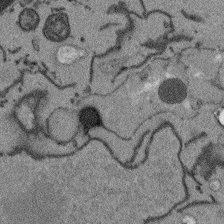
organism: Arabidopsis thaliana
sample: Root tip